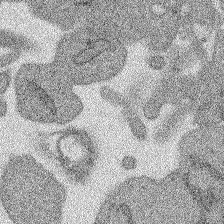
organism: Human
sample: HeLa cells